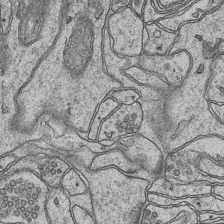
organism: Mouse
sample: CA1 Hippocampus